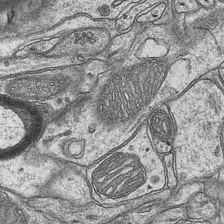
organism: Mouse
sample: CA1 Hippocampus